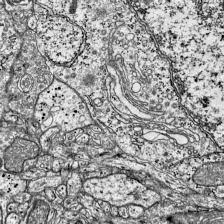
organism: Mouse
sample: Visual Cortex